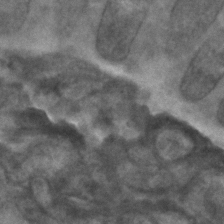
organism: C. elegans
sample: C. elegans embryo